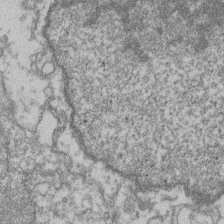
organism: Mouse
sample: T cell stromal cell synapse